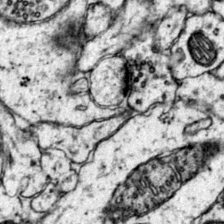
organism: Mouse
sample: Primary visual cortex